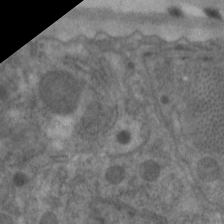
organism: C. elegans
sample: Pharynx